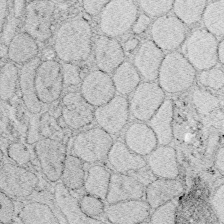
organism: Zebrafish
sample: Whole-Brain